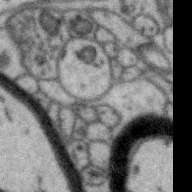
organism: Zebra finch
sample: Brain